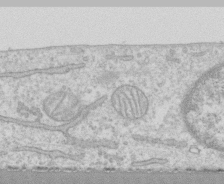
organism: Human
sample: CRL-1474